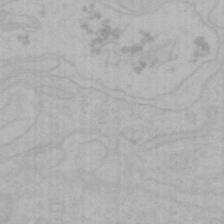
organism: Mouse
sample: Choroid plexus